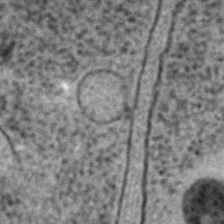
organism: C. elegans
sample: C. elegans embryo